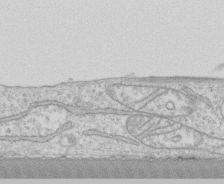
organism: Human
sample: CRL-1474